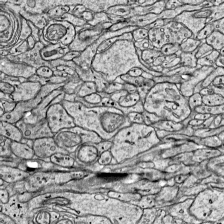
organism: Mouse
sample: Visual Cortex